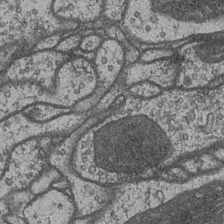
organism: Drosophila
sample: Optic medulla